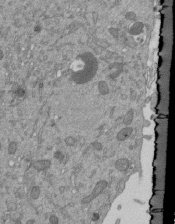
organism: Mouse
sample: ED-1 cell nuclei; centrioles